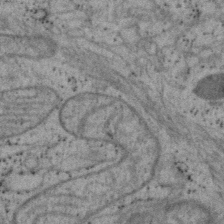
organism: Human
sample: HeLa cells